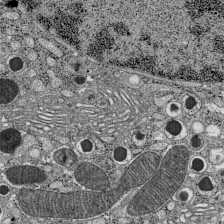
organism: C57BL Mouse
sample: Pancreatic islet